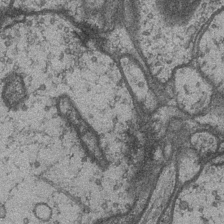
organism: Drosophila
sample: Optic medulla